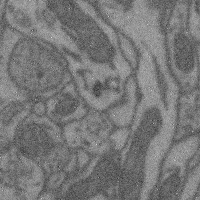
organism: Mouse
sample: Cerebral cortex